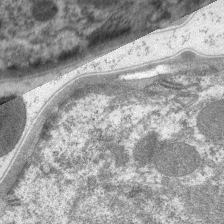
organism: C. elegans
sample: Pharynx